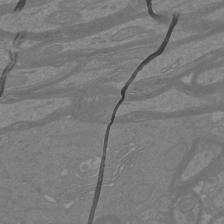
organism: Mouse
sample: Cortical neurons